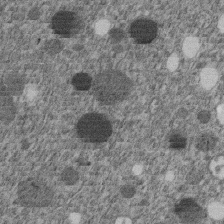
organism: C. elegans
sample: C. elegans embryo early stage